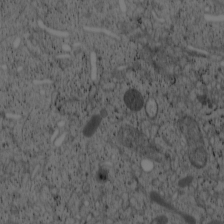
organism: African green monkey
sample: COS-7 cells